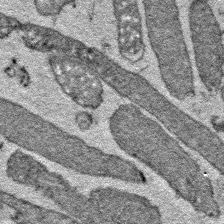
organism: E. coli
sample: E. Coli Bacteria